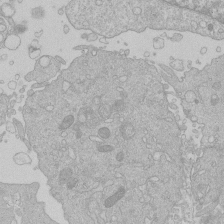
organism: Human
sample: Macrophage cells